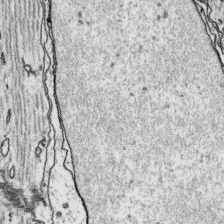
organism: Platynereis dumerilii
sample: Parapodia